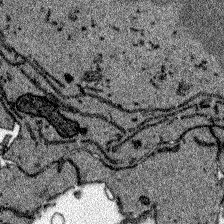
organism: Zebrafish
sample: Larval olfactory bulb